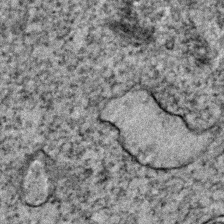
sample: Trachea